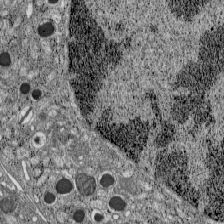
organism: C57BL Mouse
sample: Pancreatic islet